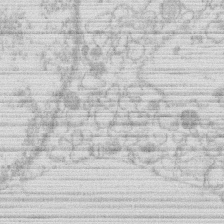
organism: Human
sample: Macrophage cells